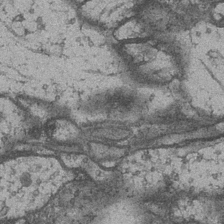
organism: Drosophila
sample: Optic medulla